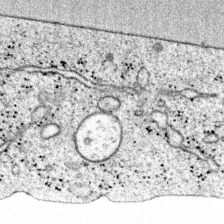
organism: Human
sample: HeLa cells